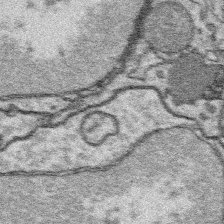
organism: Platynereis dumerilii